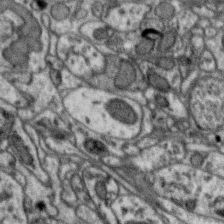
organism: Zebra finch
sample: Brain